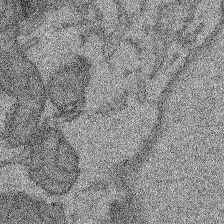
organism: Human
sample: HeLa cells